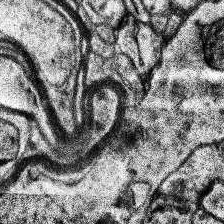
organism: Human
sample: Temporal Lobe